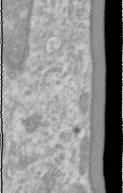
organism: Human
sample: Cilia; basal body in RPE cells